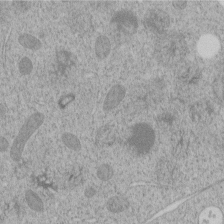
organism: C. elegans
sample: C. elegans embryo early stage